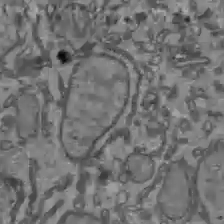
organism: C57BL Mouse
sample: Liver